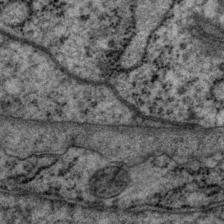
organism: P. pacificus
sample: Pharynx